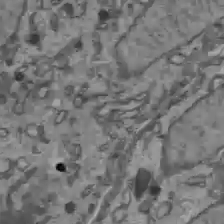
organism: C57BL Mouse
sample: Liver